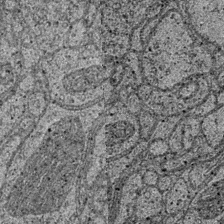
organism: Drosophila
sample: Optic medulla